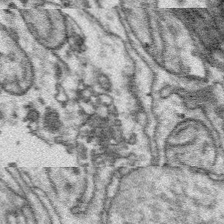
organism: Platynereis dumerilii